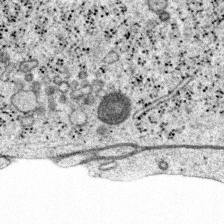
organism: Human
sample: HeLa cells